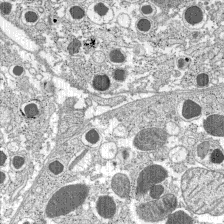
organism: C57BL Mouse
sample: Pancreatic islet